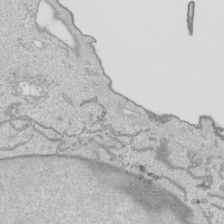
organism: Human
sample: Mitochondria in HCT116 cells